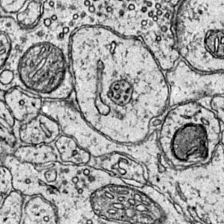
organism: Mouse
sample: Primary visual cortex